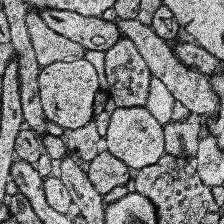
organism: Human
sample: Temporal Lobe